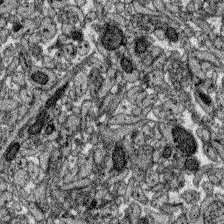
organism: Zebrafish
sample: Larval olfactory bulb